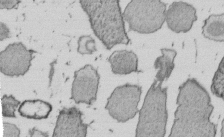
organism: E. coli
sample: Bacterial nucleoid